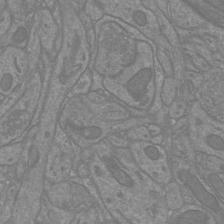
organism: Mouse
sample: Cortical neurons